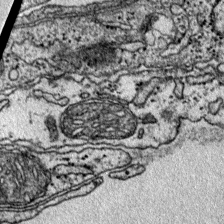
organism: Mouse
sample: Primary visual cortex